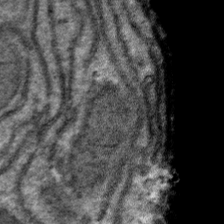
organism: Mouse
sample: Mouse hepatocytes